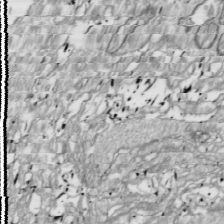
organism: Drosophila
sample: Cell division; meiosis; drosophila spermatocytes